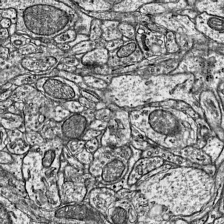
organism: Mouse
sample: Visual Cortex